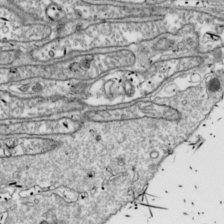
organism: Drosophila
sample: Cell division; meiosis; drosophila spermatocytes